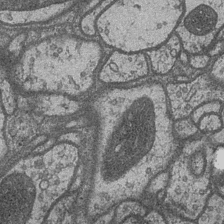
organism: Drosophila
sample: Optic medulla